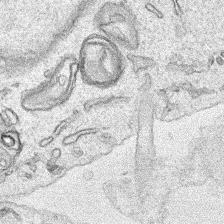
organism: Human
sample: Mitochondria in HCT116 cells